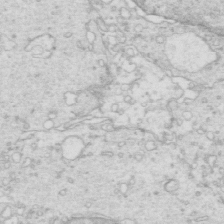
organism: Mouse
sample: Multiciliated cells